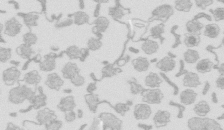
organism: Mouse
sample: Multiciliated cells